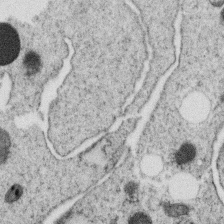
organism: C. elegans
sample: C. elegans oocyte; sperm cells